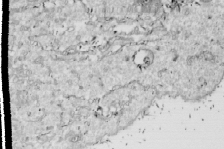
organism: Drosophila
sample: Cell division; meiosis; drosophila spermatocytes